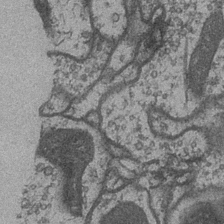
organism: Drosophila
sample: Optic medulla